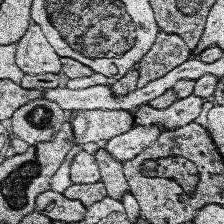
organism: Human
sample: Temporal Lobe